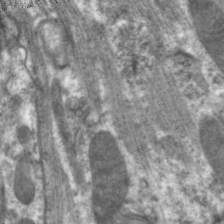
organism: C. elegans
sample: Pharynx